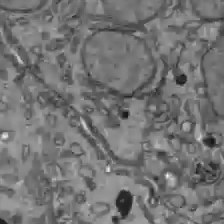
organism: C57BL Mouse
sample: Liver